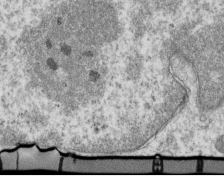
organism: Mouse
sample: Activated OT-1 CD8+ T cells